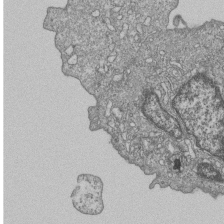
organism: Human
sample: MDA-MB-231 cells